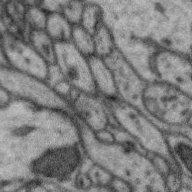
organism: Zebra finch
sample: Brain